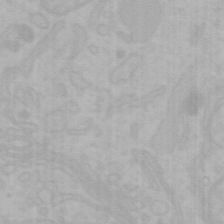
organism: Mouse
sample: Choroid plexus